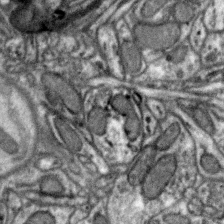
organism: Zebra finch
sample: Brain